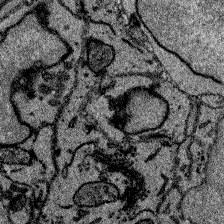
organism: Zebrafish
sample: Larval olfactory bulb